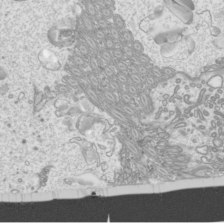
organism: Mouse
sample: Cilia; mouse epididymis